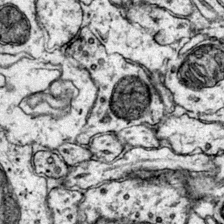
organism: Mouse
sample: Primary visual cortex